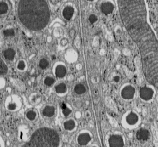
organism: C57BL Mouse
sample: Pancreatic islet